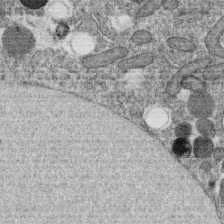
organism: C. elegans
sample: C. elegans oocyte; sperm cells